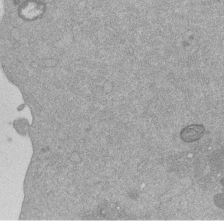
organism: Mouse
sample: Dividing mouse embryo 1 cell stage